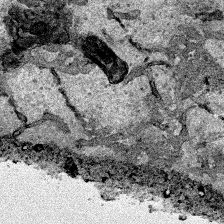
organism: Human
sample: Mitochondria in HCT116 cells